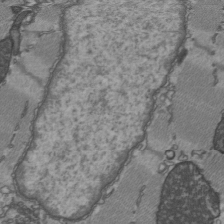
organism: C57BL Mouse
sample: Heart